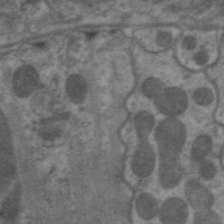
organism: C. elegans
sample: Pharynx